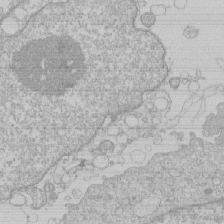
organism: Human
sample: Macrophage cells